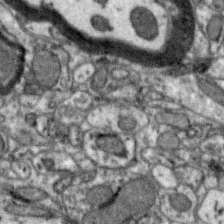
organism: Zebra finch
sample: Brain